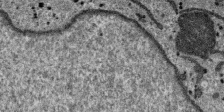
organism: Human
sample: Lung epithelial cells, uninfected (mock) control